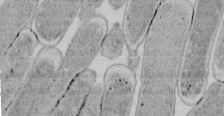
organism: E. coli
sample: Bacterial nucleoid